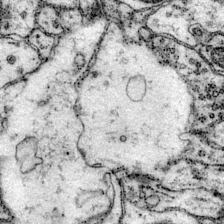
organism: Mouse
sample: Primary visual cortex